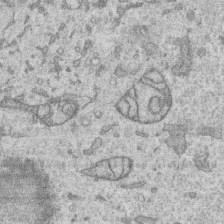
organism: Human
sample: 1205lu cells